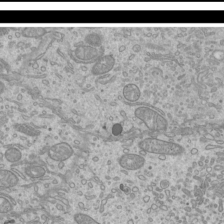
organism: Mouse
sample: Cilia; mouse epididymis